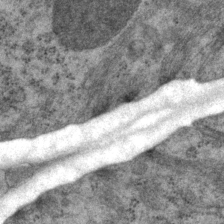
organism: P. pacificus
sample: Pharynx